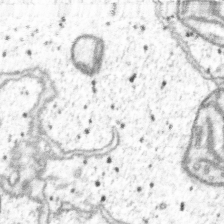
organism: Human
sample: HeLa cells